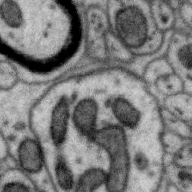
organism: Zebra finch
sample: Brain